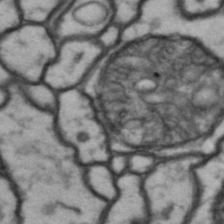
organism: Drosophila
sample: Brain